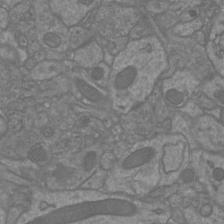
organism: Mouse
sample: Cortical neurons